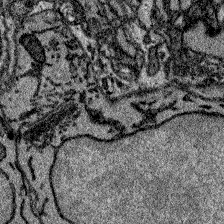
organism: Zebrafish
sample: Larval olfactory bulb